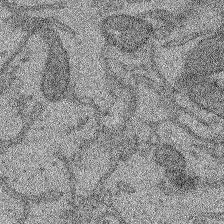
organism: Human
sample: HeLa cells